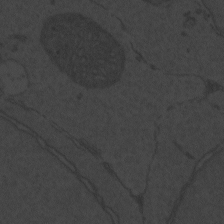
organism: Zebrafish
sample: Macrophage infected with Toxoplasma gondii